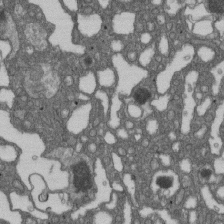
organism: Drosophila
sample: Nephrocyte